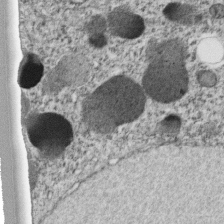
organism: C. elegans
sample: C. elegans embryo early stage